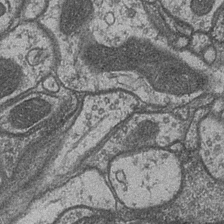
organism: Drosophila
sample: Optic medulla